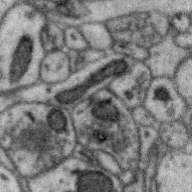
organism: Zebra finch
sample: Brain